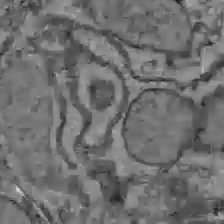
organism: C57BL Mouse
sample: Liver